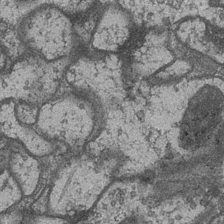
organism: Drosophila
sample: Optic medulla